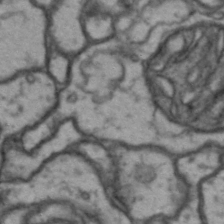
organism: Drosophila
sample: Brain